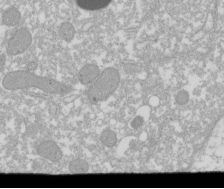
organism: Xenopus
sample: Cilia; centrioles in frog embryo cells